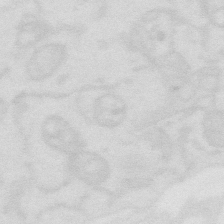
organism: Human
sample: HeLa cells